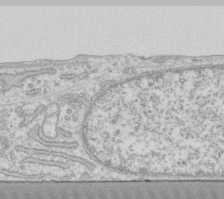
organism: Human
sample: Fibroblast cells